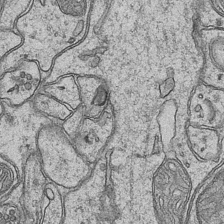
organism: Mouse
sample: CA1 Hippocampus